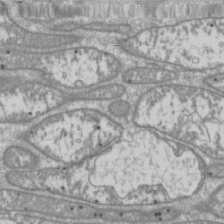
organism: Drosophila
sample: Cell division; meiosis; drosophila spermatocytes